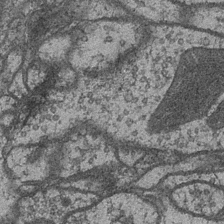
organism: Drosophila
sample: Optic medulla